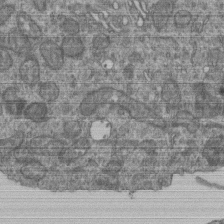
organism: Human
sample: Retinal organoid Rod and Cone cells